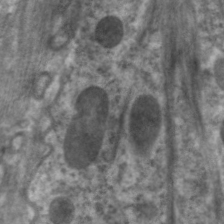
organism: C. elegans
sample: Pharynx